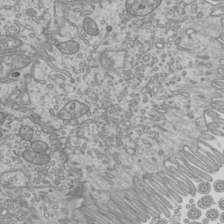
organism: Mouse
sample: Cilia; mouse epididymis